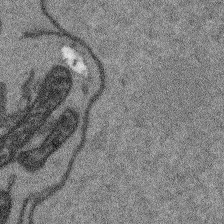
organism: Arabidopsis thaliana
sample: Root tip